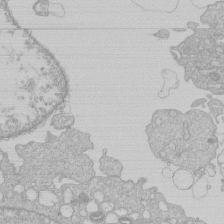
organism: Human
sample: Macrophage cells